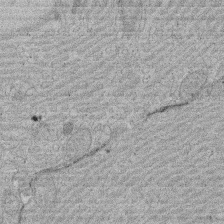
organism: Rat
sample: Salivary granule